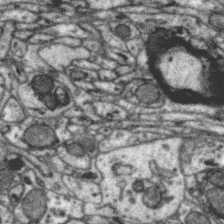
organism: Zebra finch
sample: Brain